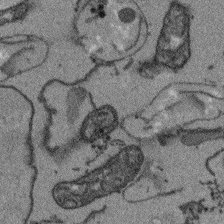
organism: Arabidopsis thaliana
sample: Root tip